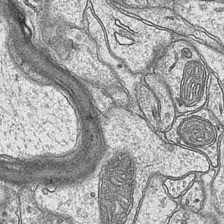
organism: Mouse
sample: CA1 Hippocampus